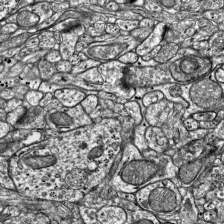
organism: Mouse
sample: Visual Cortex